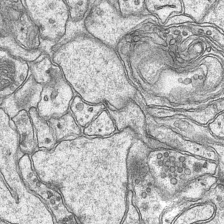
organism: Mouse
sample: CA1 Hippocampus